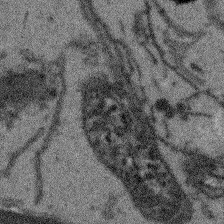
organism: Arabidopsis thaliana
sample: Root tip